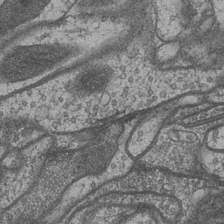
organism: Drosophila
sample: Optic medulla